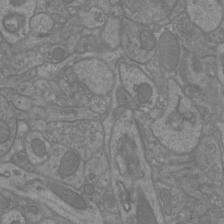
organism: Mouse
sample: Cortical neurons